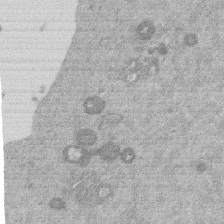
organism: Mouse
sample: Dividing mouse embryo 1 cell stage